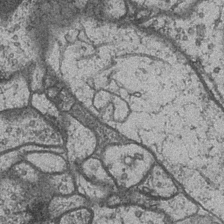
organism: Drosophila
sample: Optic medulla